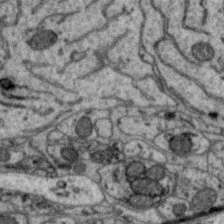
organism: Zebra finch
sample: Brain